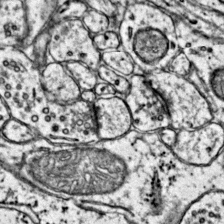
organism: Mouse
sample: Primary visual cortex